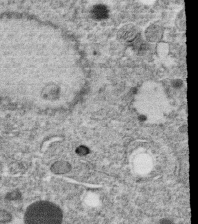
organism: C. elegans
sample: C. elegans oocyte; sperm cells